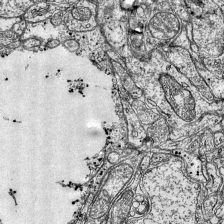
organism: Mouse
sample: Visual Cortex